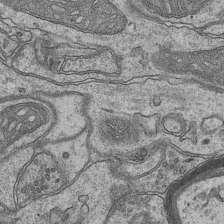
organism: Mouse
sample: CA1 Hippocampus